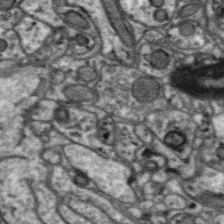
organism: Zebra finch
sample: Brain